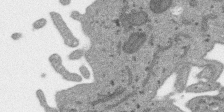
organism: Human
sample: Lung epithelial cells infected with SARS-CoV-2